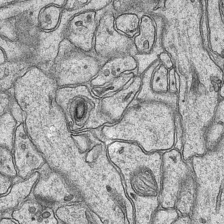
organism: Mouse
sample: CA1 Hippocampus